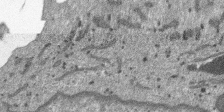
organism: Human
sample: Lung epithelial cells infected with SARS-CoV-2